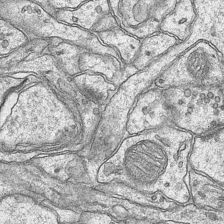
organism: Mouse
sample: CA1 Hippocampus